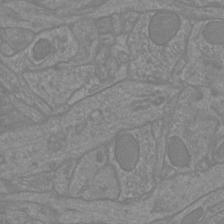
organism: Mouse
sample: Cortical neurons